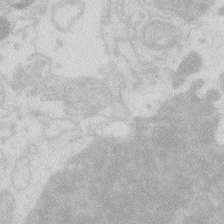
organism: Zebrafish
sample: Macrophage